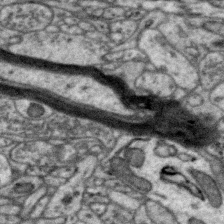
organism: Zebra finch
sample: Brain